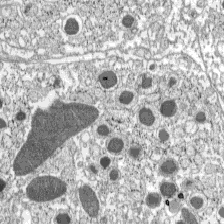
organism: C57BL Mouse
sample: Pancreatic islet